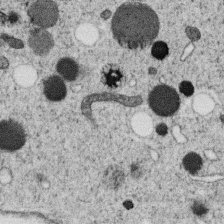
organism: C. elegans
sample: C. elegans oocyte; sperm cells